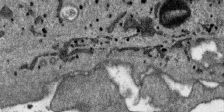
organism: Human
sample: Lung epithelial cells, uninfected (mock) control